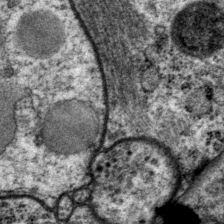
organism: P. pacificus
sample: Pharynx